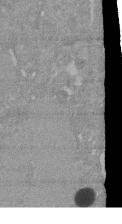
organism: Mouse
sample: ED-1 cell nuclei; centrioles